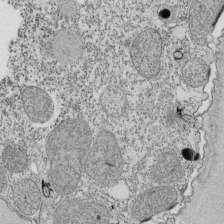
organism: Tetrahymena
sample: Cilia in tetrahymena